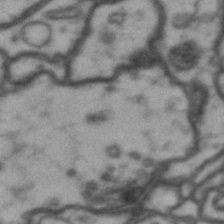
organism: Drosophila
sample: Brain